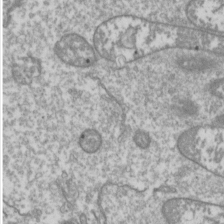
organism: Drosophila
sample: Cell division; meiosis; drosophila spermatocytes